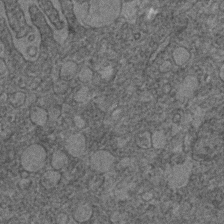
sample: Trachea